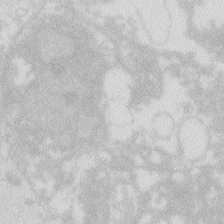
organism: Zebrafish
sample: Macrophage